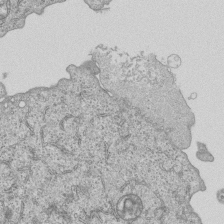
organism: Human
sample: MDA-MB-231 cells